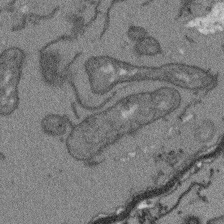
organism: Arabidopsis thaliana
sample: Root tip